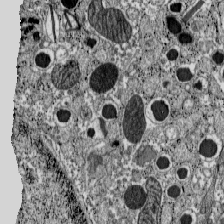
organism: C57BL Mouse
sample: Pancreatic islet